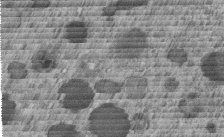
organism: C. elegans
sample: C. elegans embryo early stage